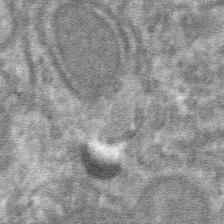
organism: Mouse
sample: Mouse hepatocytes